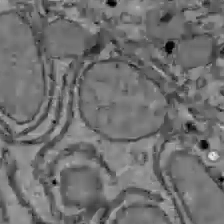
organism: C57BL Mouse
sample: Liver